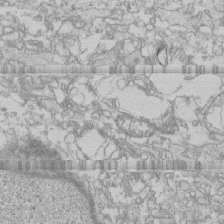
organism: Human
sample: CRL-1474